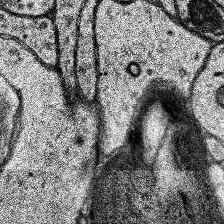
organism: Human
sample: Temporal Lobe